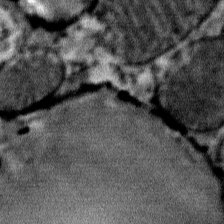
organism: Mouse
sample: Mouse Salivary gland